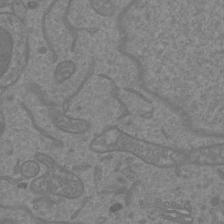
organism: Mouse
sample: Cortical neurons